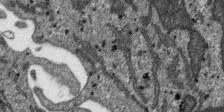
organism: Human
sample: Lung epithelial cells infected with SARS-CoV-2